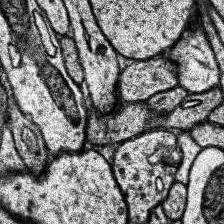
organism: Human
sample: Temporal Lobe